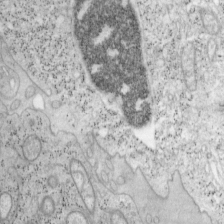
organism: Mouse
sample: OT-I killer T cells with ID8 ovarian cancer cells